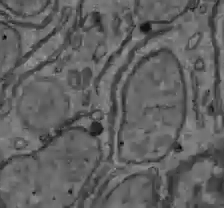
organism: C57BL Mouse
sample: Liver